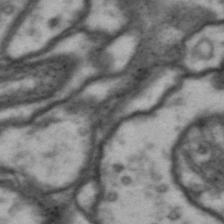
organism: Drosophila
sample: Brain